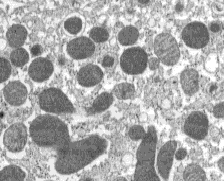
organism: C57BL Mouse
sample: Pancreatic islet